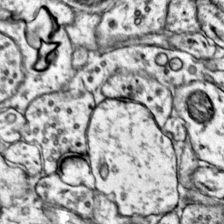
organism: Mouse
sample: Primary visual cortex